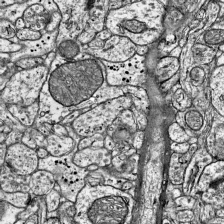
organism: Mouse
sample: Visual Cortex